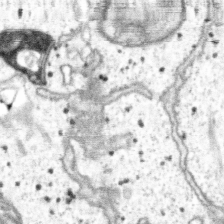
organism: Human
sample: HeLa cells